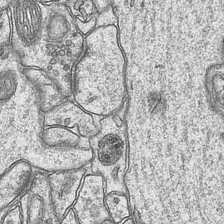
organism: Mouse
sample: CA1 Hippocampus